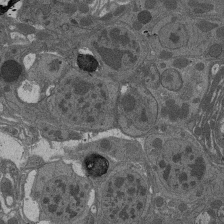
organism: Drosophila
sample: Antenna